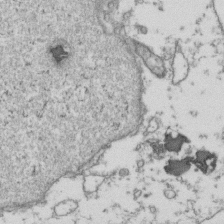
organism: Human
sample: Activated Jurkat CD4+ T cells